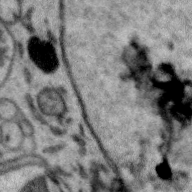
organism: Zebra finch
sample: Brain